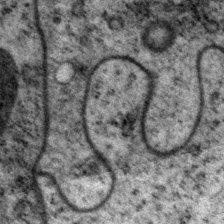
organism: P. pacificus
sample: Pharynx